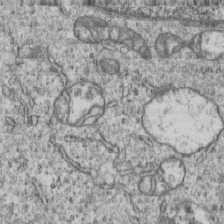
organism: Human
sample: MDA-MB-231 cells